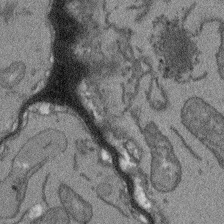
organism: Arabidopsis thaliana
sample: Root tip